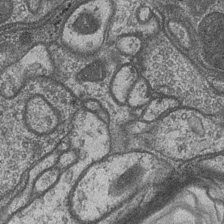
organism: Drosophila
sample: Optic medulla